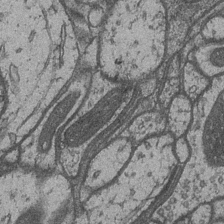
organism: Drosophila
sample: Optic medulla